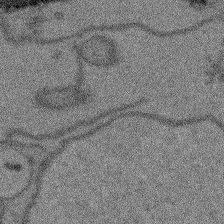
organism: Arabidopsis thaliana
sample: Root tip